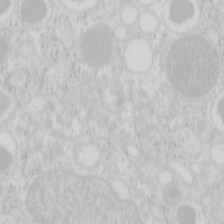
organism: Mouse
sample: Pancreas